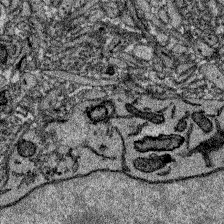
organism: Zebrafish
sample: Larval olfactory bulb